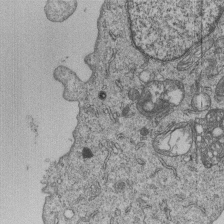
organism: Human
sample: MDA-MB-231 cells